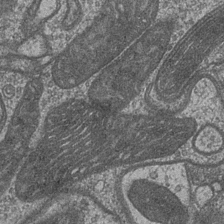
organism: Drosophila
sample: Optic medulla